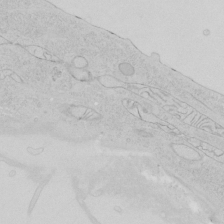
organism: Human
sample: Mitochondria in HCT116 cells